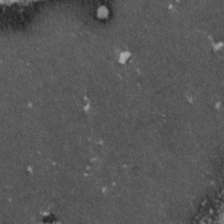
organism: Zebrafish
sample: Zebrafish embryo